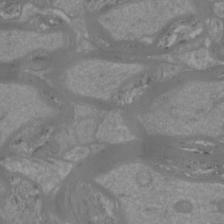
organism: Mouse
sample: Cortical neurons